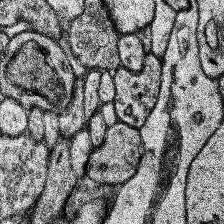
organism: Human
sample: Temporal Lobe